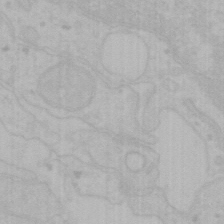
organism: Mouse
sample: Choroid plexus